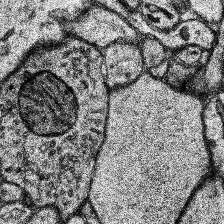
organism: Human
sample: Temporal Lobe